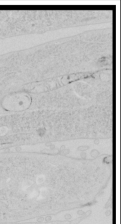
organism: Human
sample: Mitochondria in HCT116 cells